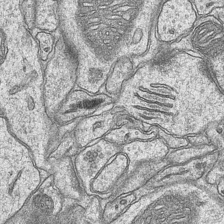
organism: Mouse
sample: CA1 Hippocampus